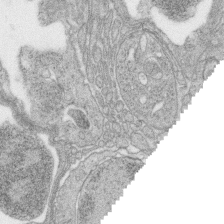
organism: Zebrafish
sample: synaptic ribbons in rod cells and cone cells